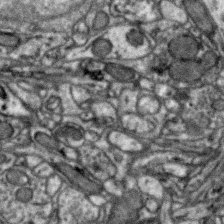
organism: Zebra finch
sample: Brain